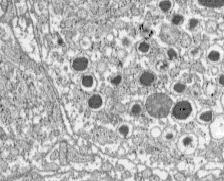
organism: C57BL Mouse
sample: Pancreatic islet